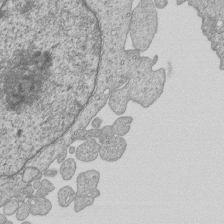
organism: Human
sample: MDA-MB-231 cells